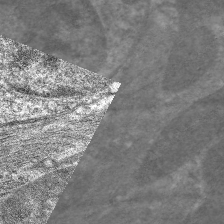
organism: C. elegans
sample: Pharynx